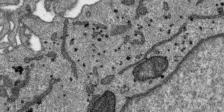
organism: Human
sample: Lung epithelial cells, uninfected (mock) control